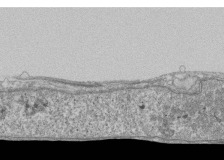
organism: Human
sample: Fibroblast cells